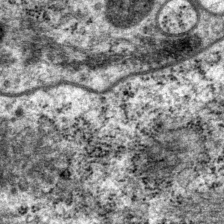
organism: P. pacificus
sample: Pharynx